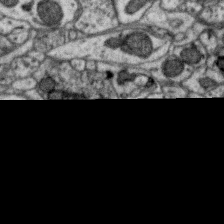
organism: Zebra finch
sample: Brain